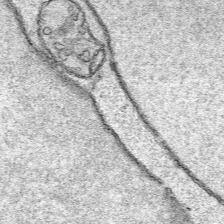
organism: Human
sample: Mitochondria in HCT116 cells